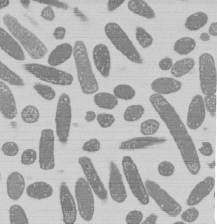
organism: E. coli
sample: Bacterial nucleoid